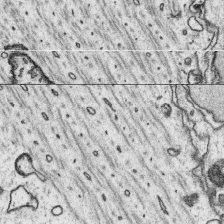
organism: Platynereis dumerilii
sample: Parapodia